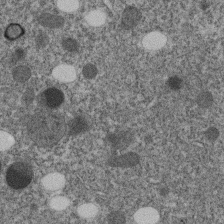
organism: C. elegans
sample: C. elegans embryo early stage